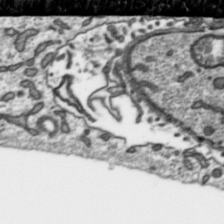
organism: Toxoplasma gondii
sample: Parasites in a vacuole inside a host cell